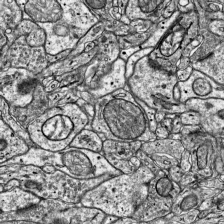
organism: Mouse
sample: Visual Cortex